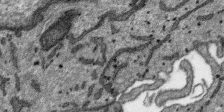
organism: Human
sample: Lung epithelial cells, uninfected (mock) control